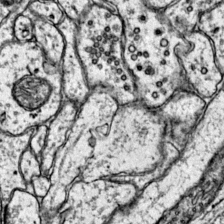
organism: Mouse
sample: Primary visual cortex